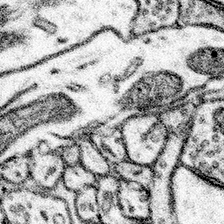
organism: Mouse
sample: Somatosensory cortex neuropil